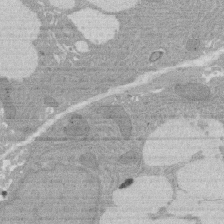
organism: Rat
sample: Salivary granule